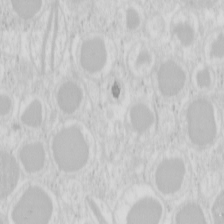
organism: Mouse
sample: Pancreas